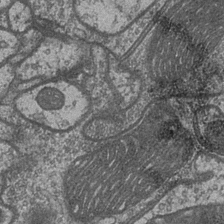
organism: Drosophila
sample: Optic medulla